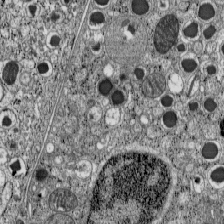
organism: C57BL Mouse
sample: Pancreatic islet